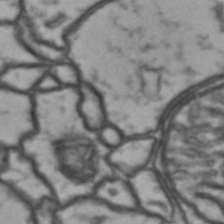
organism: Drosophila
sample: Brain